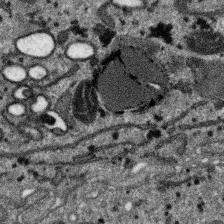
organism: Human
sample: Lung epithelial cells infected with SARS-CoV-2